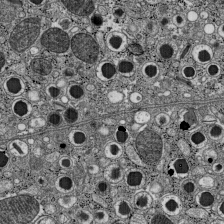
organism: C57BL Mouse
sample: Pancreatic islet